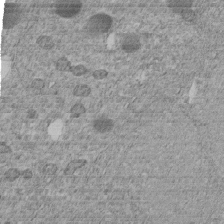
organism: C. elegans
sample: C. elegans embryo early stage